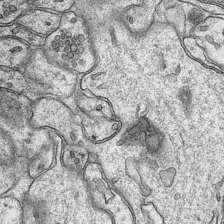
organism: Mouse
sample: CA1 Hippocampus